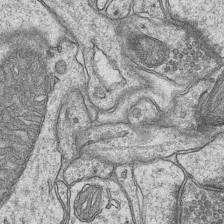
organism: Mouse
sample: CA1 Hippocampus